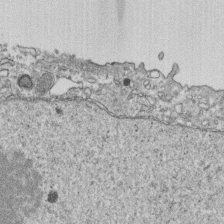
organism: Human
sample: HeLa cell HIV synapse